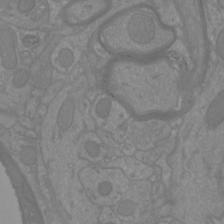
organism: Mouse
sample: Cortical neurons